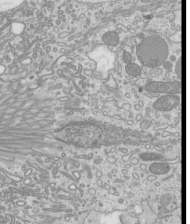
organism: Mouse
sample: Cilia; mouse epididymis